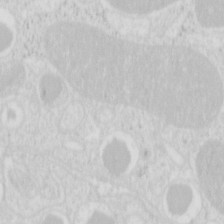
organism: Mouse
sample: Pancreas